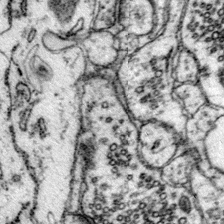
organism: Mouse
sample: Primary visual cortex